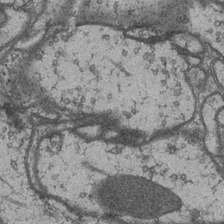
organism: Drosophila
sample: Optic medulla